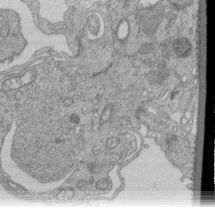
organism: Human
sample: Retinal organoid Rod and Cone cells